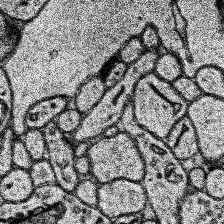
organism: Human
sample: Temporal Lobe